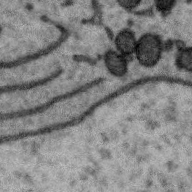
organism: Zebra finch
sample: Brain